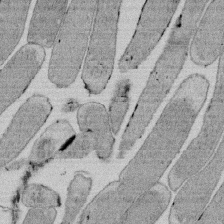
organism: E. coli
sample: Bacterial nucleoid